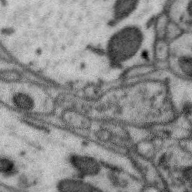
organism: Zebra finch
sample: Brain